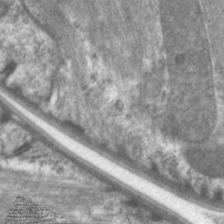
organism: C. elegans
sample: Pharynx